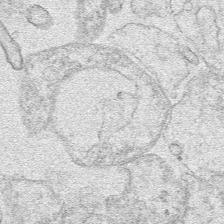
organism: Human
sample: Mitochondria in HCT116 cells